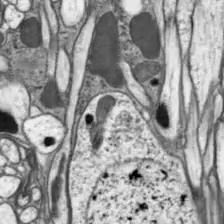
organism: Drosophila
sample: Optic lobe